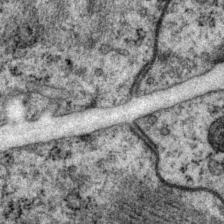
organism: P. pacificus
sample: Pharynx